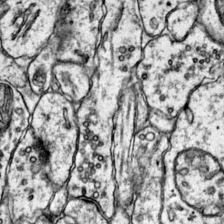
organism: Mouse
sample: Primary visual cortex